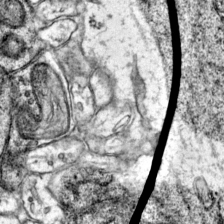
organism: Mouse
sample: Primary visual cortex